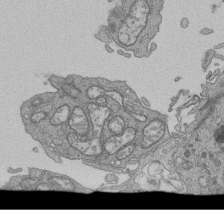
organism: Human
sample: Retinal organoid Rod and Cone cells